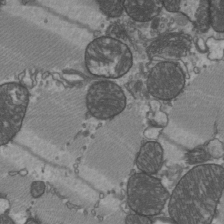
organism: C57BL Mouse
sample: Heart